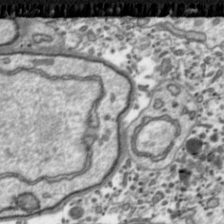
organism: Toxoplasma gondii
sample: Parasites in a vacuole inside a host cell